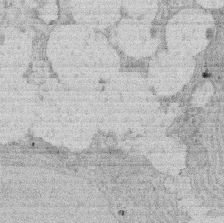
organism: Rat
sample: Salivary granule